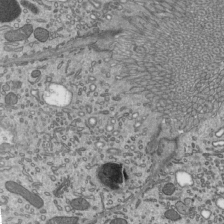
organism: Mouse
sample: Mouse epididymis efferent ductule cilia